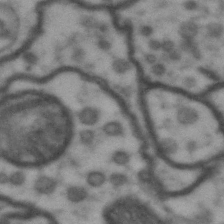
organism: Drosophila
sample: Brain